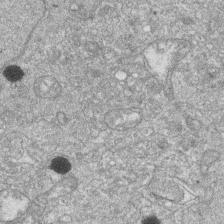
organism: Human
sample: HeLa cell HIV synapse